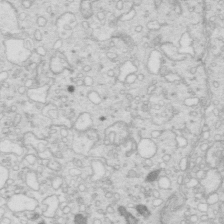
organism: Mouse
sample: Multiciliated cells